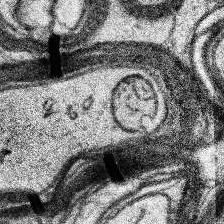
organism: Human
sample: Temporal Lobe